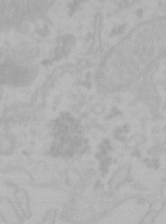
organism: Mouse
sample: Choroid plexus